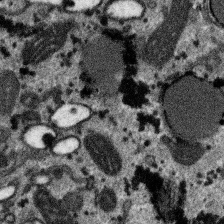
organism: Human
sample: Lung epithelial cells infected with SARS-CoV-2